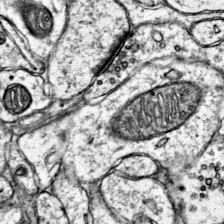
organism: Mouse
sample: Primary visual cortex